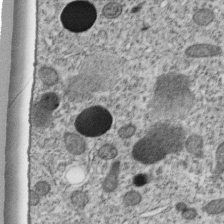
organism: C. elegans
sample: C. elegans embryo early stage